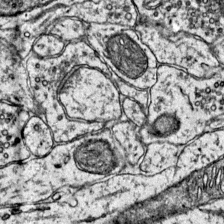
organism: Mouse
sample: Primary visual cortex